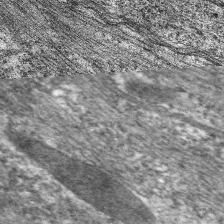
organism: C. elegans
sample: Pharynx